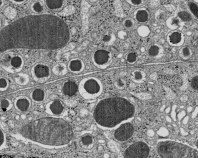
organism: C57BL Mouse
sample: Pancreatic islet